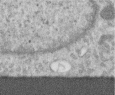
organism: Human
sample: Centriole in RPE cells